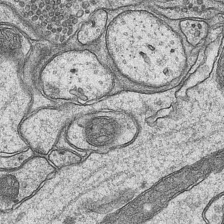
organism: Mouse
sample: CA1 Hippocampus